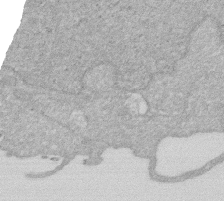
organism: Human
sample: HIV infected U937 cells